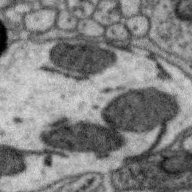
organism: Zebra finch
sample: Brain